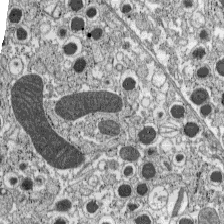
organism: C57BL Mouse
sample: Pancreatic islet